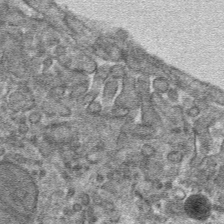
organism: Mouse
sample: Mouse hepatocytes